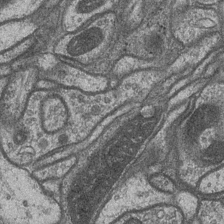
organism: Drosophila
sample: Optic medulla